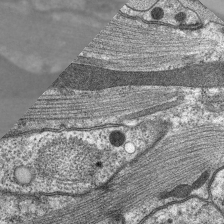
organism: C. elegans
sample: Pharynx